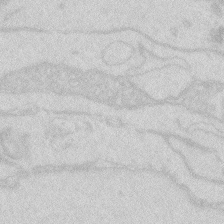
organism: Zebrafish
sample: Macrophage